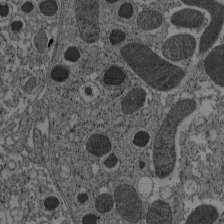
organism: C57BL Mouse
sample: Pancreatic islet